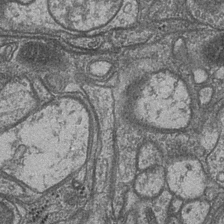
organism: Drosophila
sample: Optic medulla